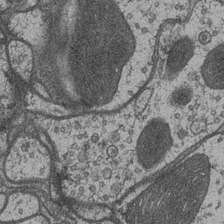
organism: Drosophila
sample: Optic medulla